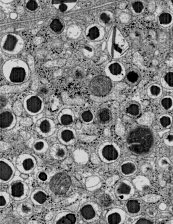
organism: C57BL Mouse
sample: Pancreatic islet